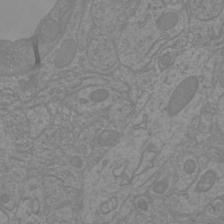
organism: Mouse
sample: Cortical neurons